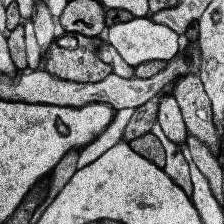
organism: Human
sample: Temporal Lobe